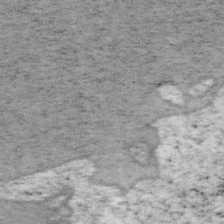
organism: Mouse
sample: OT-I killer T cells with ID8 ovarian cancer cells